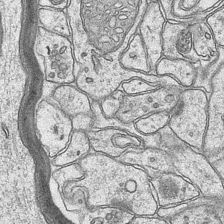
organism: Mouse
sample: CA1 Hippocampus